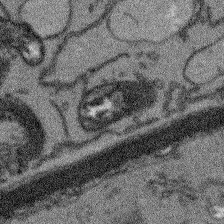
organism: Arabidopsis thaliana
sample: Root tip